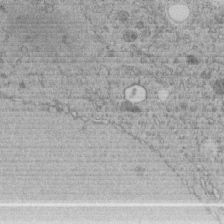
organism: C. elegans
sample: C. elegans embryo early stage